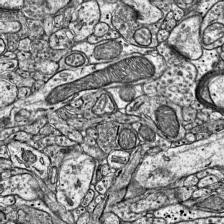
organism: Mouse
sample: Visual Cortex